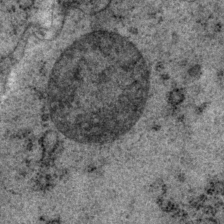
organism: P. pacificus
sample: Pharynx